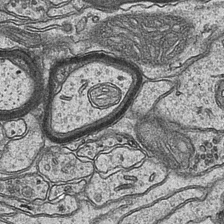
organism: Mouse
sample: CA1 Hippocampus